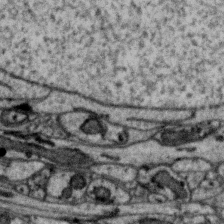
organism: Zebra finch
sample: Brain